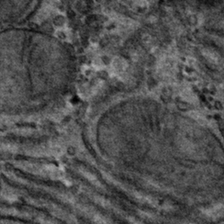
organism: Mouse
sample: Mouse hepatocytes